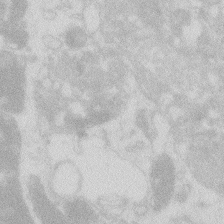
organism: Zebrafish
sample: Macrophage